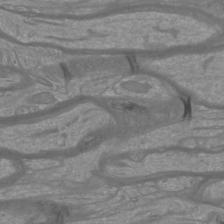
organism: Mouse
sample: Cortical neurons